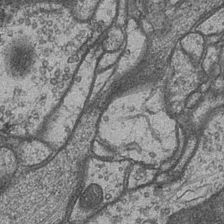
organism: Drosophila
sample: Optic medulla